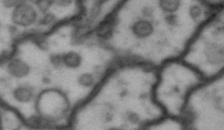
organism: Drosophila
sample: Brain